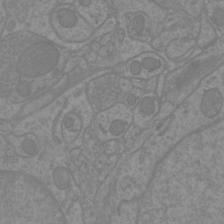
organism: Mouse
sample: Cortical neurons